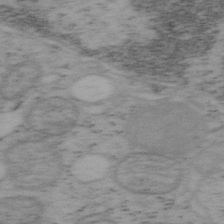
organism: Mouse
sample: OT-I killer T cells with ID8 ovarian cancer cells